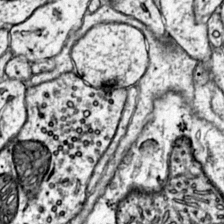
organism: Mouse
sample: Primary visual cortex